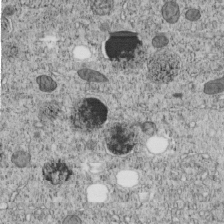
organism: C. elegans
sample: C. elegans embryo early stage